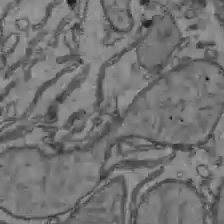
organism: C57BL Mouse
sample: Liver